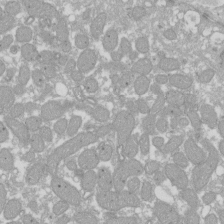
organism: Xenopus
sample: Cilia; centrioles in frog embryo cells